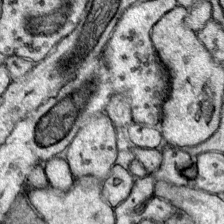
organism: Mouse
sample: Primary visual cortex